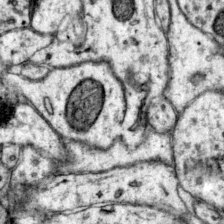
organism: Mouse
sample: Primary visual cortex